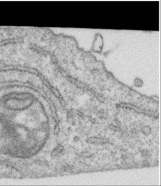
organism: Human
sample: Centriole in RPE cells